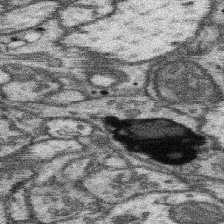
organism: Mouse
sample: Somatosensory cortex neuropil